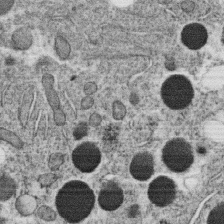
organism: C. elegans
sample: C. elegans oocyte; sperm cells